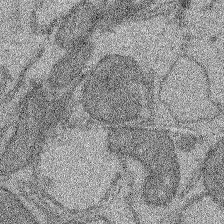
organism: Human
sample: HeLa cells